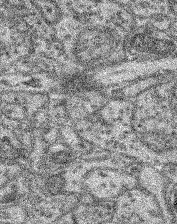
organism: Mouse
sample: Retina